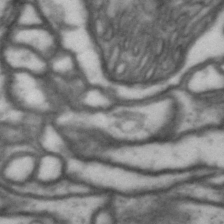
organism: Drosophila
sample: Brain